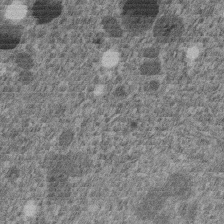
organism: C. elegans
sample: C. elegans embryo early stage